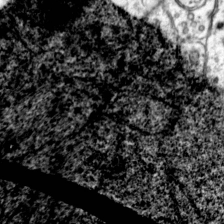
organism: Mouse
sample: Primary visual cortex